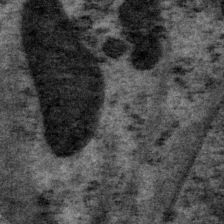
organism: P. pacificus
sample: Pharynx